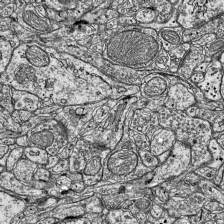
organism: Mouse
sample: Visual Cortex